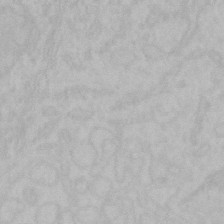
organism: Mouse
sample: Choroid plexus